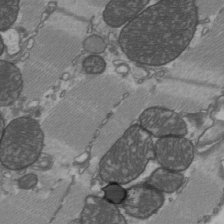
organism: C57BL Mouse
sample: Heart